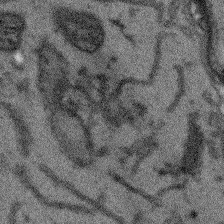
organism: Arabidopsis thaliana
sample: Root tip